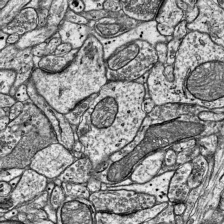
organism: Mouse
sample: Visual Cortex